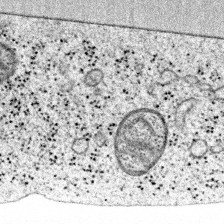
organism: Human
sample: HeLa cells